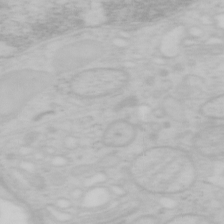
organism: Mouse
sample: OT-I killer T cells with ID8 ovarian cancer cells